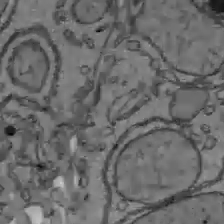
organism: C57BL Mouse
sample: Liver